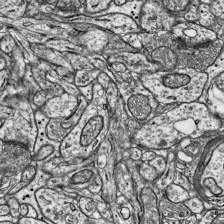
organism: Mouse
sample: Visual Cortex